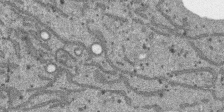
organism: Human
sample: Lung epithelial cells infected with SARS-CoV-2